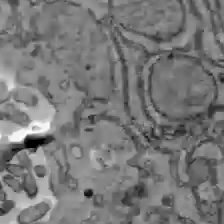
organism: C57BL Mouse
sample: Liver